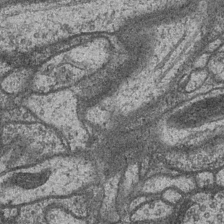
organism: Drosophila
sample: Optic medulla